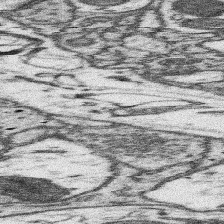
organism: Mouse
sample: Somatosensory cortex neuropil